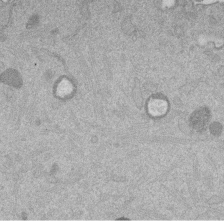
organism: Mouse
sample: Dividing mouse embryo 1 cell stage